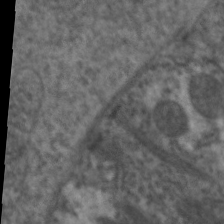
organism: C. elegans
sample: Pharynx